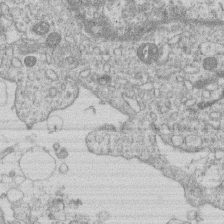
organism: Human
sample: Macrophage cells